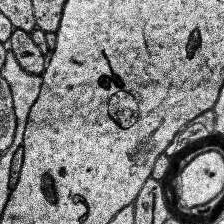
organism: Human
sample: Temporal Lobe